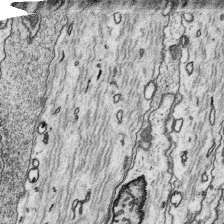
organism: Platynereis dumerilii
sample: Parapodia